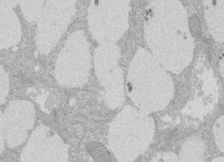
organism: Rat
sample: Salivary granule